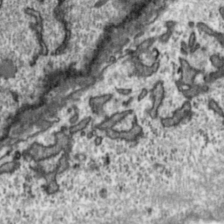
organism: Toxoplasma gondii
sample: Parasites in a vacuole inside a host cell